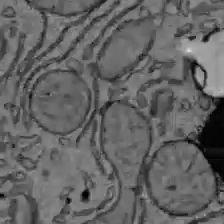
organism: C57BL Mouse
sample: Liver